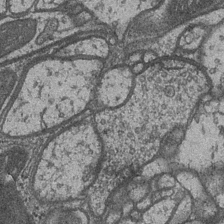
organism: Drosophila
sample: Optic medulla